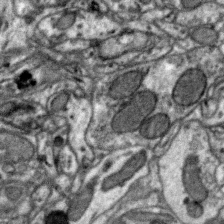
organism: Zebra finch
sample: Brain